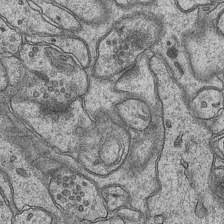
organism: Mouse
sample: CA1 Hippocampus